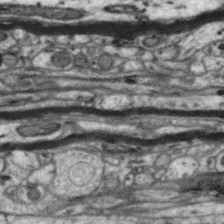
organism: Zebra finch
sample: Brain